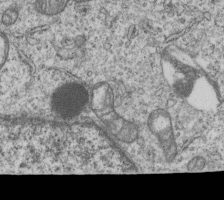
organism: Human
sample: MDA-MB-231 cells